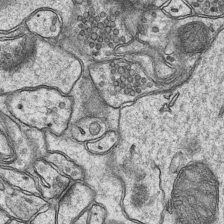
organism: Mouse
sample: CA1 Hippocampus